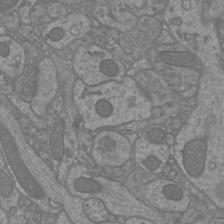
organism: Mouse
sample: Cortical neurons